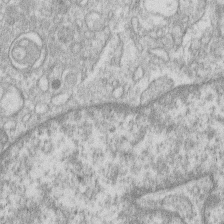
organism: Human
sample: Macrophage cells